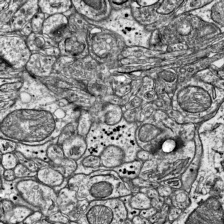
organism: Mouse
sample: Visual Cortex